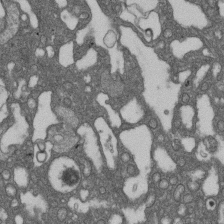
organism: Drosophila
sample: Nephrocyte